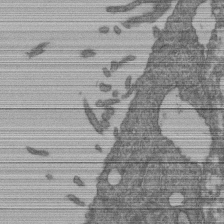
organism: Human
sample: Retinal organoid Rod and Cone cells